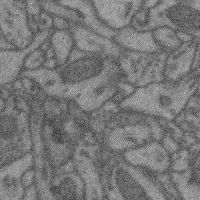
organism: Mouse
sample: Cerebral cortex